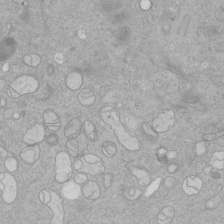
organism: Human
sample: Mitochondria in HCT116 cells